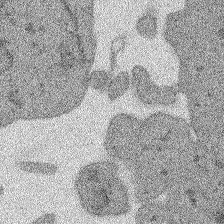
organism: Human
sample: HeLa cells